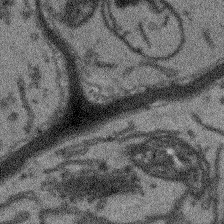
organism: Arabidopsis thaliana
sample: Root tip